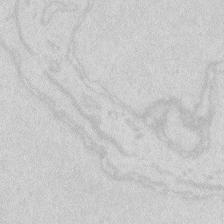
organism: Zebrafish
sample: Macrophage